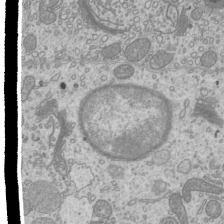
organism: Mouse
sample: Cilia; mouse epididymis